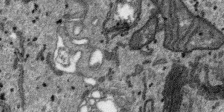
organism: Human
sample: Lung epithelial cells, uninfected (mock) control